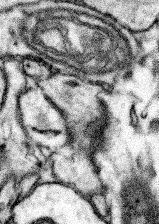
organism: Mouse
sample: Somatosensory cortex neuropil